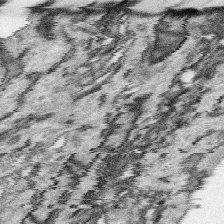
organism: Human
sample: HeLa cells